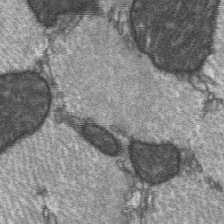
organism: C57BL Mouse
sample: Soleus